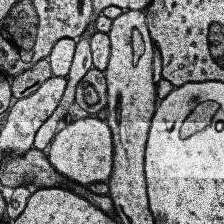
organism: Human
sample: Temporal Lobe